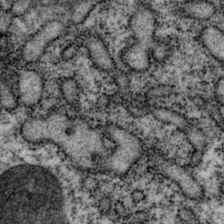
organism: P. pacificus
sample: Pharynx